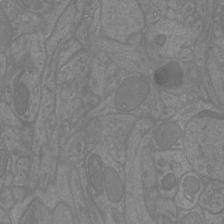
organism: Mouse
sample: Cortical neurons